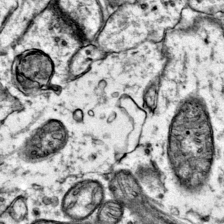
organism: Mouse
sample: Primary visual cortex